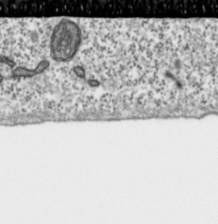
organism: Toxoplasma gondii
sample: Parasites in a vacuole inside a host cell